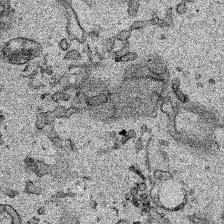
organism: Human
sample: Mitochondria in HCT116 cells